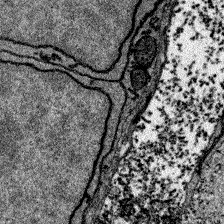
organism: Zebrafish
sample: Larval olfactory bulb